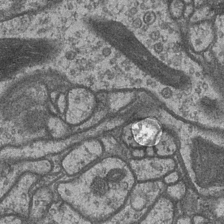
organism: Drosophila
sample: Optic medulla